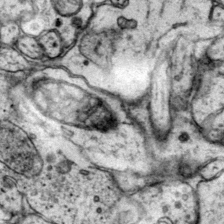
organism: Mouse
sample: Primary visual cortex